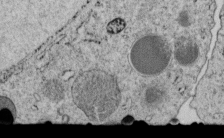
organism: C. elegans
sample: C. elegans embryo early stage